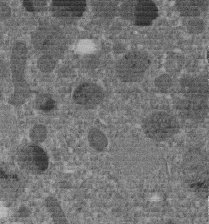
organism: C. elegans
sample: C. elegans embryo early stage